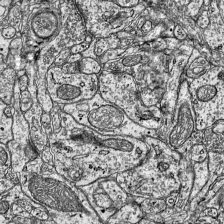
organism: Mouse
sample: Visual Cortex